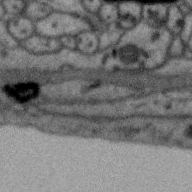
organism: Zebra finch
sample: Brain